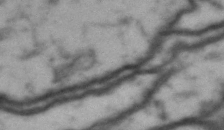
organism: Drosophila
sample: Brain